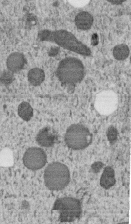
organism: C. elegans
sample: C. elegans embryo early stage